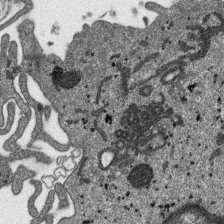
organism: Human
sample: Lung epithelial cells infected with SARS-CoV-2